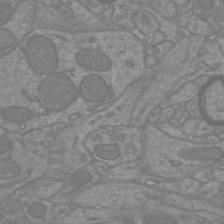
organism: Mouse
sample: Cortical neurons